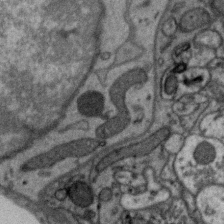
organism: Zebra finch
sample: Brain